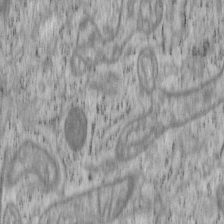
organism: Human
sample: HeLa cells